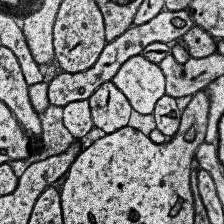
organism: Human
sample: Temporal Lobe